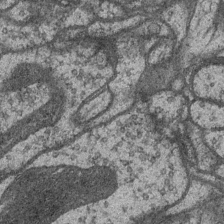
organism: Drosophila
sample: Optic medulla